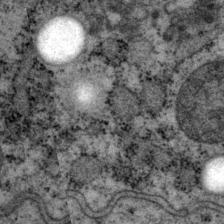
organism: P. pacificus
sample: Pharynx